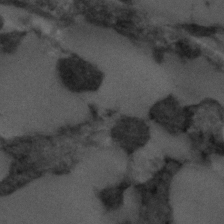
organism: C. elegans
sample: C. elegans embryo